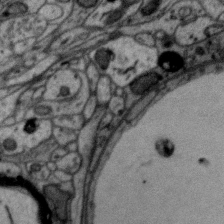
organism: Zebra finch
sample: Brain